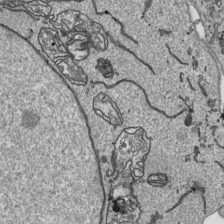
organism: Human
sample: Mitochondria in HCT116 cells